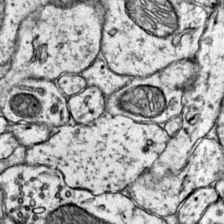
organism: Mouse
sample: Primary visual cortex